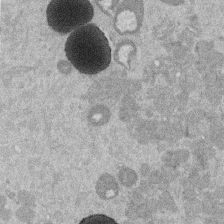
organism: Mouse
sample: Dividing mouse embryo 1 cell stage